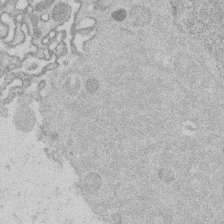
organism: Mouse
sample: Dividing mouse embryo 1 cell stage